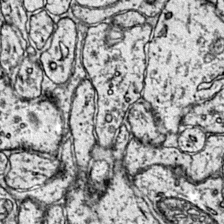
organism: Mouse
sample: Primary visual cortex